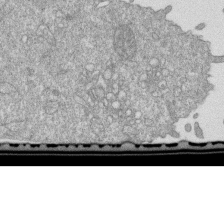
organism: Human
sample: HeLa cell HIV synapse